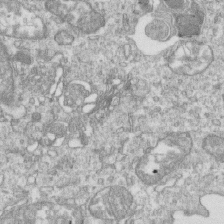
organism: Mouse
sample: Activated OT-1 CD8+ T cells